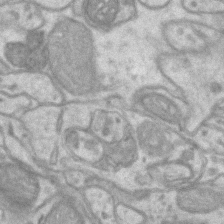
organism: Mouse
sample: CA1 Hippocampus